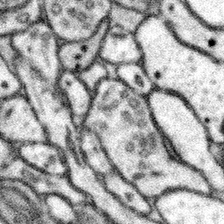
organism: Mouse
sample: Somatosensory cortex neuropil